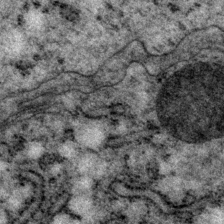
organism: P. pacificus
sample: Pharynx